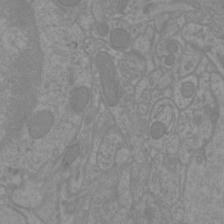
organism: Mouse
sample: Cortical neurons